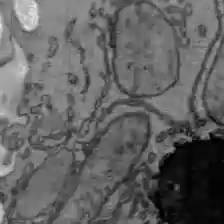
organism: C57BL Mouse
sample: Liver